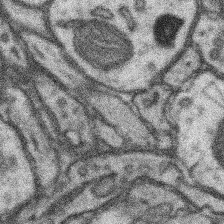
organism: Mouse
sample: Somatosensory cortex neuropil